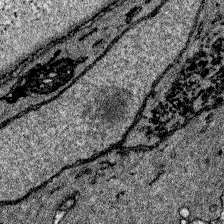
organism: Zebrafish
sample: Larval olfactory bulb